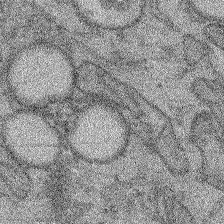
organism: Human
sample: HeLa cells